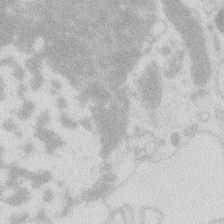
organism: Zebrafish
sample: Macrophage